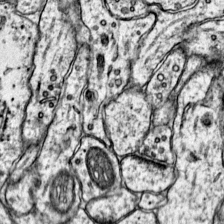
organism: Mouse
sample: Primary visual cortex